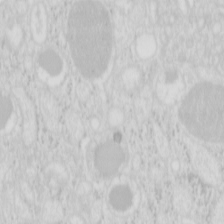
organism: Mouse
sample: Pancreas